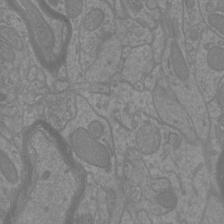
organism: Mouse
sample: Cortical neurons